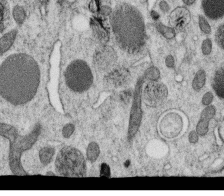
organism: C. elegans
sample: C. elegans oocyte; sperm cells